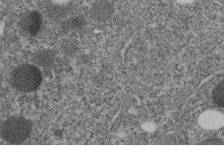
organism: C. elegans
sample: C. elegans embryo early stage